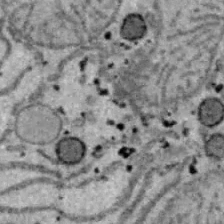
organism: Mouse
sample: Liver from an obese (ob/ob) mouse